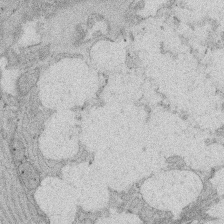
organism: Rat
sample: Salivary granule